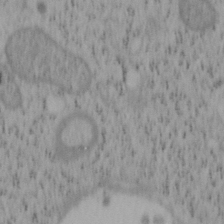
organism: Mouse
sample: OT-I killer T cells with ID8 ovarian cancer cells